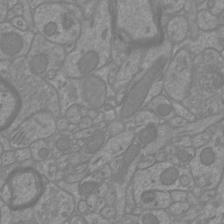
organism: Mouse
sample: Cortical neurons